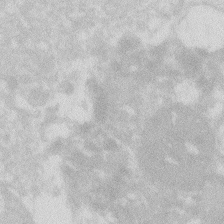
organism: Zebrafish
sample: Macrophage